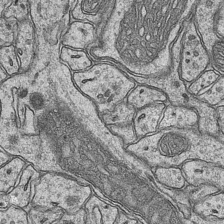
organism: Mouse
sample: CA1 Hippocampus